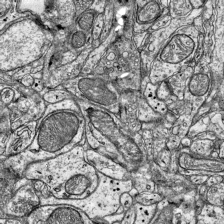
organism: Mouse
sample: Visual Cortex